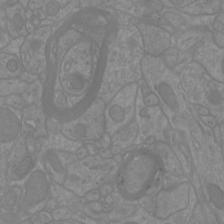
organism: Mouse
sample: Cortical neurons